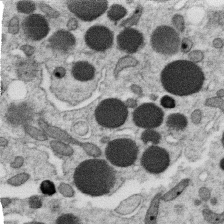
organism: C. elegans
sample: C. elegans oocyte; sperm cells